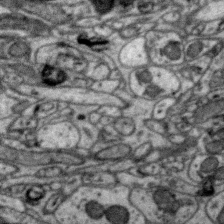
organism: Zebra finch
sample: Brain